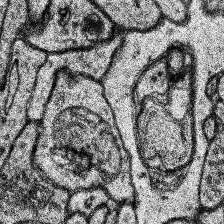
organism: Human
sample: Temporal Lobe